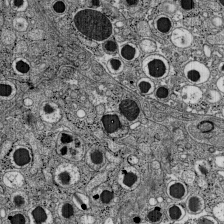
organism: C57BL Mouse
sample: Pancreatic islet